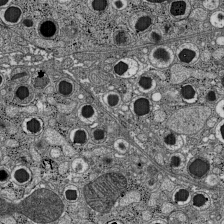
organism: C57BL Mouse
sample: Pancreatic islet